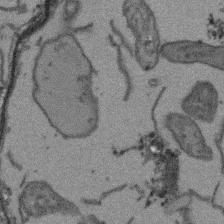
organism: Arabidopsis thaliana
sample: Root tip